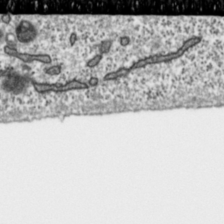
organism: Toxoplasma gondii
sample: Parasites in a vacuole inside a host cell